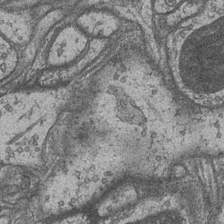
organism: Drosophila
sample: Optic medulla